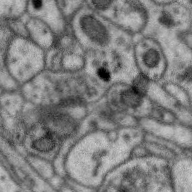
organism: Zebra finch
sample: Brain